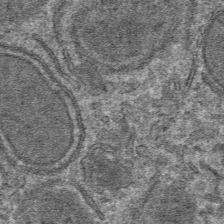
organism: Mouse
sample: Mouse hepatocytes